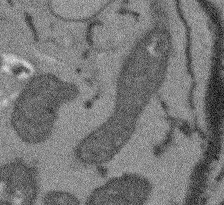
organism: Arabidopsis thaliana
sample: Root tip